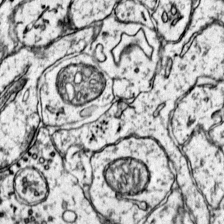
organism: Mouse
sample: Primary visual cortex